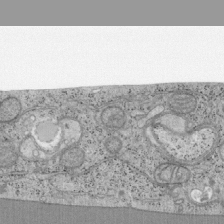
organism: Human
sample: HeLa cells